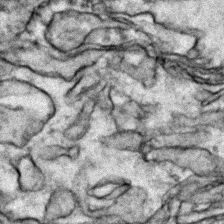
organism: Zebrafish